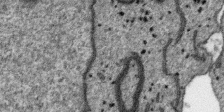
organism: Human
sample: Lung epithelial cells, uninfected (mock) control